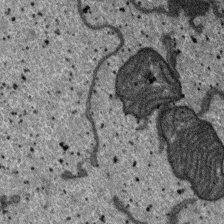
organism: Human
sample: Lung epithelial cells, uninfected (mock) control